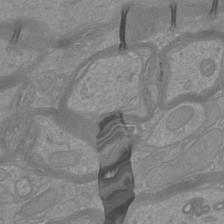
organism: Mouse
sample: Cortical neurons